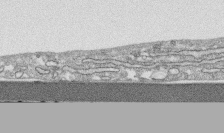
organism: Human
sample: CRL-1474